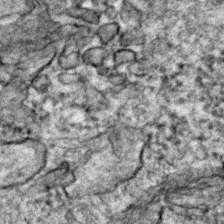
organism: Zebrafish